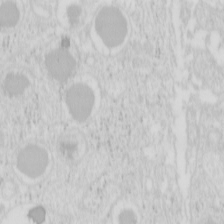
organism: Mouse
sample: Pancreas